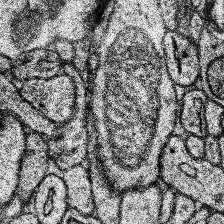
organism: Human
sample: Temporal Lobe